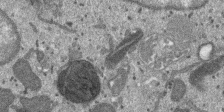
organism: Human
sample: Lung epithelial cells infected with SARS-CoV-2